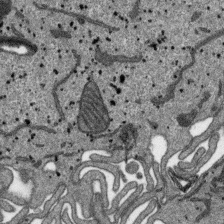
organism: Human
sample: Lung epithelial cells, uninfected (mock) control